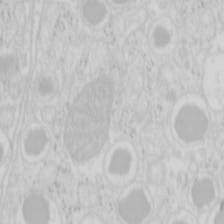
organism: Mouse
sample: Pancreas